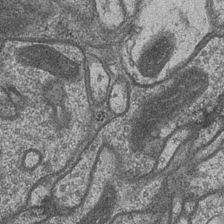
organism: Drosophila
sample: Optic medulla